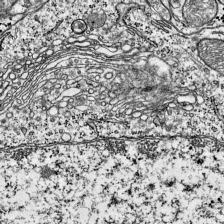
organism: Mouse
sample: Visual Cortex